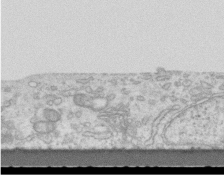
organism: Mouse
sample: Centriole in ependymal cells